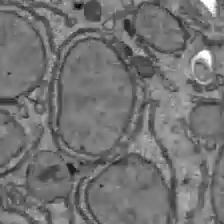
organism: C57BL Mouse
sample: Liver